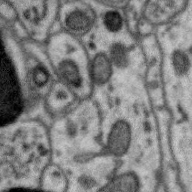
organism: Zebra finch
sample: Brain